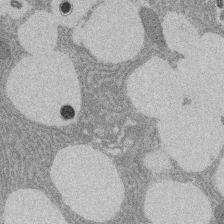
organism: Rat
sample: Salivary granule